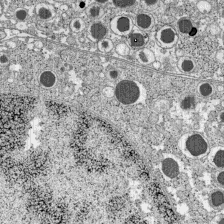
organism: C57BL Mouse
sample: Pancreatic islet